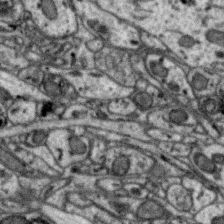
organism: Zebra finch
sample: Brain